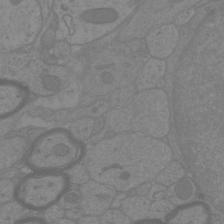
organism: Mouse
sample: Cortical neurons